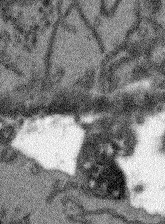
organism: Arabidopsis thaliana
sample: Root tip